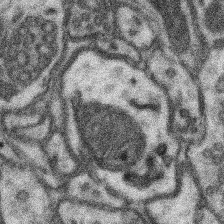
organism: Mouse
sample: Somatosensory cortex neuropil